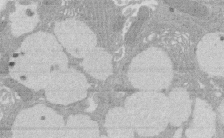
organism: Rat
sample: Salivary granule